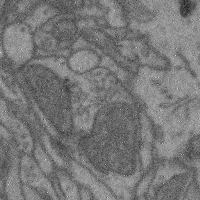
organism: Mouse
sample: Cerebral cortex